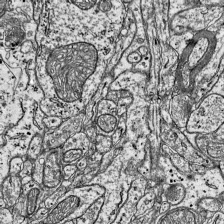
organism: Mouse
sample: Visual Cortex